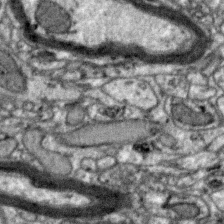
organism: Zebra finch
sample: Brain